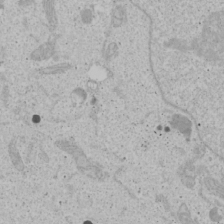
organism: Human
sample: Mitochondria in U2OS cells